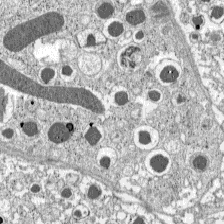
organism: C57BL Mouse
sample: Pancreatic islet